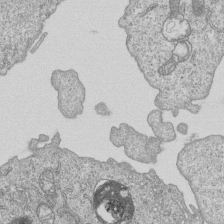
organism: Human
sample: MDA-MB-231 cells